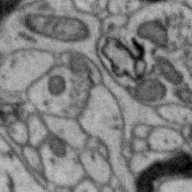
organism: Zebra finch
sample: Brain